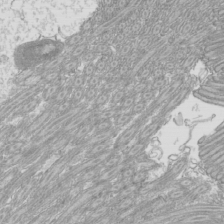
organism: Mouse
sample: Cilia; mouse epididymis